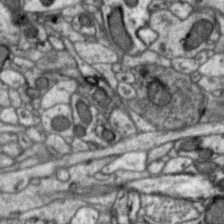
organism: Zebra finch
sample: Brain